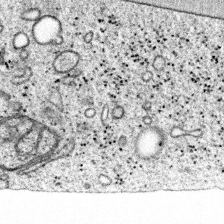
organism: Human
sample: HeLa cells